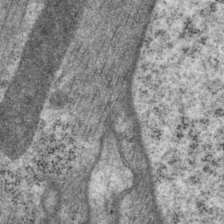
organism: P. pacificus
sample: Pharynx